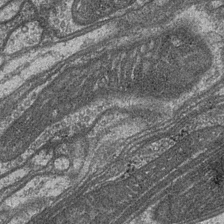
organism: Drosophila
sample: Optic medulla